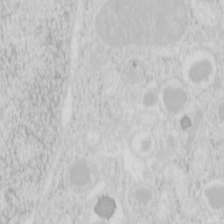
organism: Mouse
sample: Pancreas